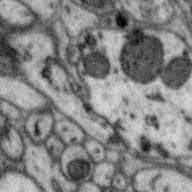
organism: Zebra finch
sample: Brain